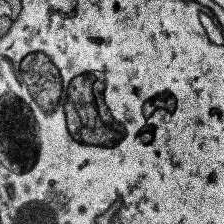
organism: Human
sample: Temporal Lobe